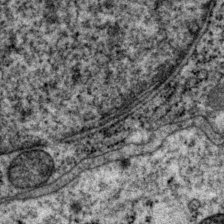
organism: P. pacificus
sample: Pharynx